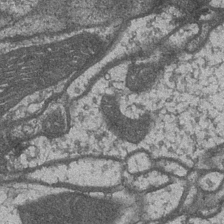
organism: Drosophila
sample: Optic medulla